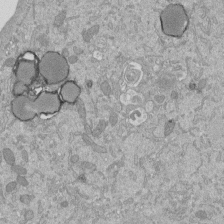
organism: Mouse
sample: ED-1 cell nuclei; centrioles